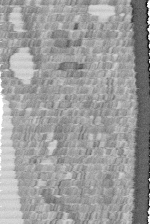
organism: Human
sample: Centriole in fibroblast cells